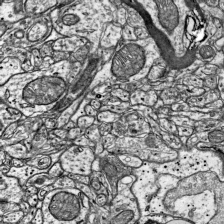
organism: Mouse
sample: Visual Cortex